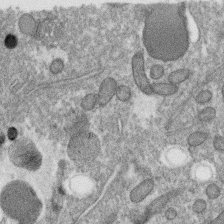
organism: C. elegans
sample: C. elegans oocyte; sperm cells